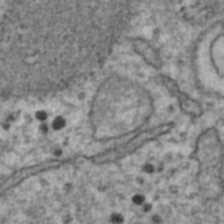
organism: Human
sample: Blood